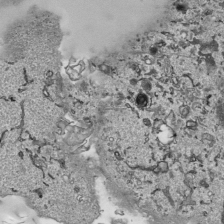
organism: Human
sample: Mitochondria in HCT116 cells